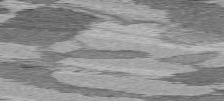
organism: C57BL Mouse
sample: Heart